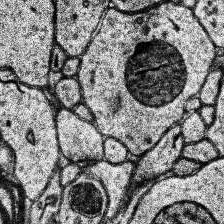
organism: Human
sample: Temporal Lobe